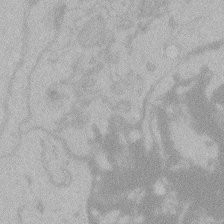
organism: Zebrafish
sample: Macrophage infected with Toxoplasma gondii